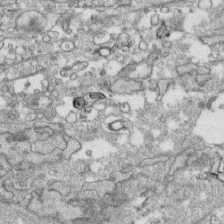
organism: Human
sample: CRL-1474